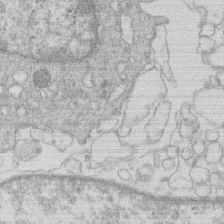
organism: Human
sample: Macrophage cells